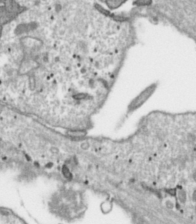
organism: Toxoplasma gondii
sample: Parasites in a vacuole inside a host cell